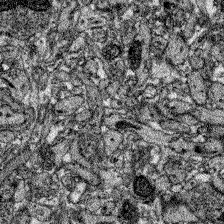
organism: Zebrafish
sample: Larval olfactory bulb